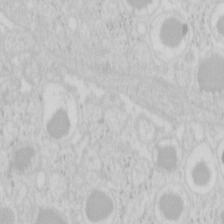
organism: Mouse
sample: Pancreas